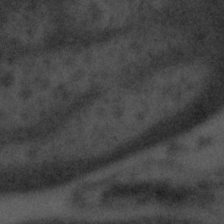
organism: Tuwongella immobilis